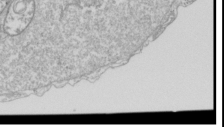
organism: Drosophila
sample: Cell division; meiosis; drosophila spermatocytes